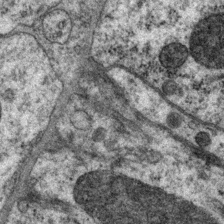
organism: P. pacificus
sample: Pharynx